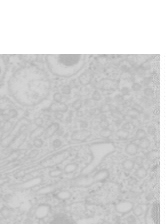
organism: Mouse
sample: Pancreas